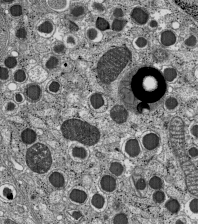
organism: C57BL Mouse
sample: Pancreatic islet